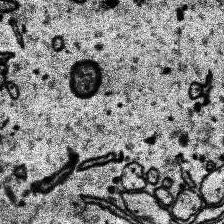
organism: Human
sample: Temporal Lobe